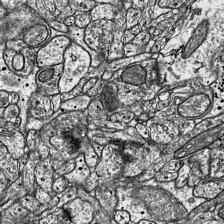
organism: Mouse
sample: Visual Cortex